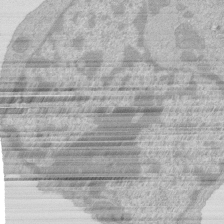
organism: Mouse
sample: Activated Pmel transgenic CD8+ T Cells